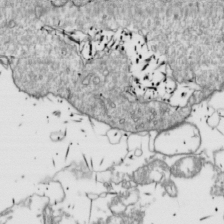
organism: Drosophila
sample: Cell division; meiosis; drosophila spermatocytes